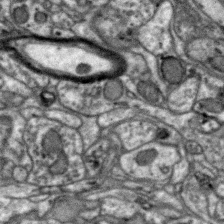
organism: Zebra finch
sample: Brain